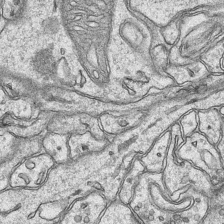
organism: Mouse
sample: CA1 Hippocampus